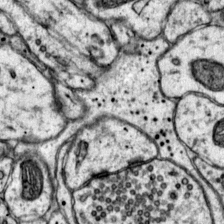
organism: Mouse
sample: Primary visual cortex